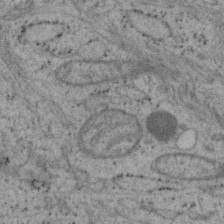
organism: Human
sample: HeLa cells